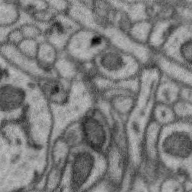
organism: Zebra finch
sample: Brain